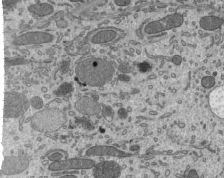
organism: Mouse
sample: Mouse epididymis efferent ductule cilia